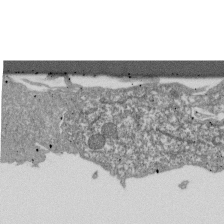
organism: Dictyostelium discoideum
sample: Dictyostelium multivesicular bodies